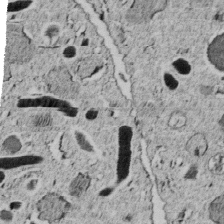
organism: C. elegans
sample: C. elegans embryo early stage